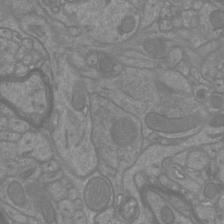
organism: Mouse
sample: Cortical neurons